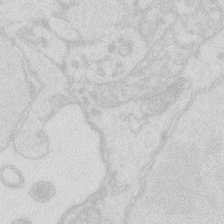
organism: Zebrafish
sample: Macrophage